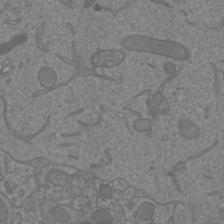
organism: Mouse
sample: Cortical neurons